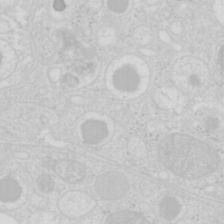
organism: Mouse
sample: Pancreas